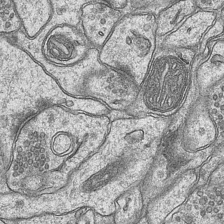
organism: Mouse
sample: CA1 Hippocampus